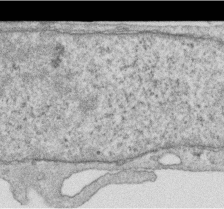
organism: Human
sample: Centriole in RPE cells